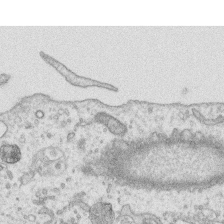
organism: Human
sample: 1205lu cells